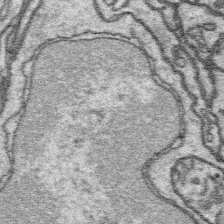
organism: Platynereis dumerilii